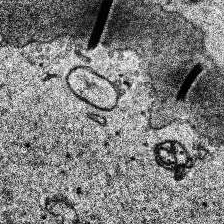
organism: Human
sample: Temporal Lobe